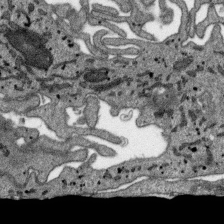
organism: Human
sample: Lung epithelial cells, uninfected (mock) control